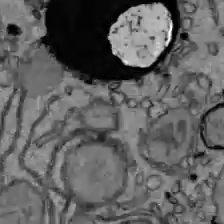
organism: C57BL Mouse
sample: Liver